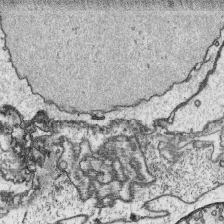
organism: Platynereis dumerilii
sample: Parapodia